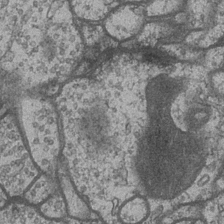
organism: Drosophila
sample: Optic medulla